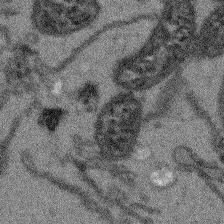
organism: Arabidopsis thaliana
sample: Root tip